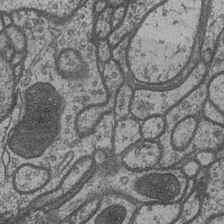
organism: Drosophila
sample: Optic medulla